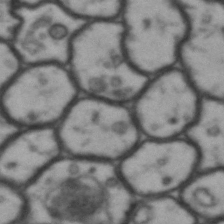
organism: Drosophila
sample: Brain